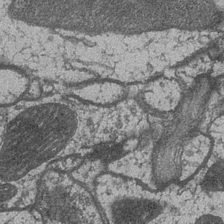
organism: Drosophila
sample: Optic medulla